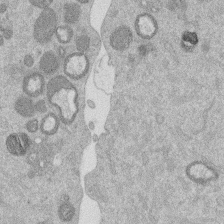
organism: Mouse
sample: Dividing mouse embryo 1 cell stage